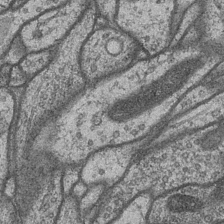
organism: Drosophila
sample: Optic medulla